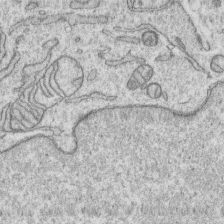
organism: Human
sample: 1205lu cells